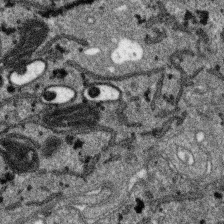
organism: Human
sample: Lung epithelial cells infected with SARS-CoV-2